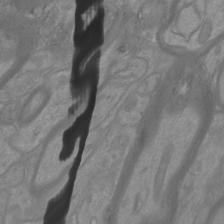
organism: Mouse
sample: Cortical neurons